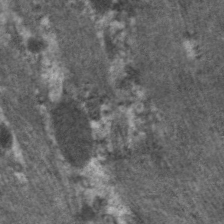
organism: C. elegans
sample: Pharynx